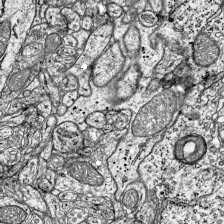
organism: Mouse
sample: Visual Cortex